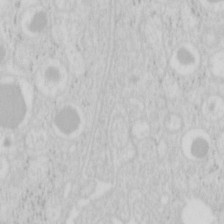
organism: Mouse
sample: Pancreas